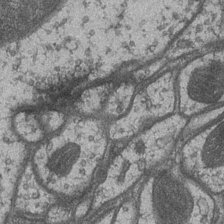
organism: Drosophila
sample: Optic medulla